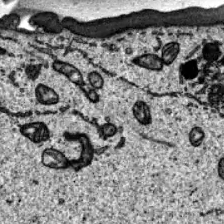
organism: Human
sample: HeLa cells